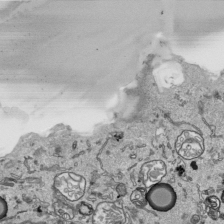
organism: Human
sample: Mitochondria in HCT116 cells